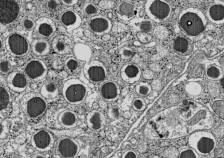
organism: C57BL Mouse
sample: Pancreatic islet